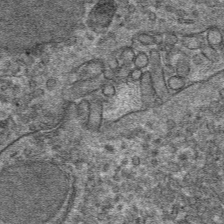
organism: Mouse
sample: Mouse hepatocytes